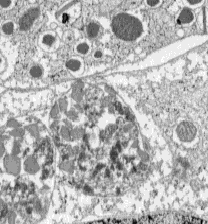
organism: C57BL Mouse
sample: Pancreatic islet